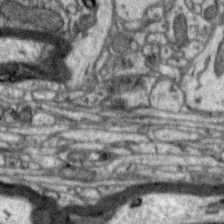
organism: Zebra finch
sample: Brain